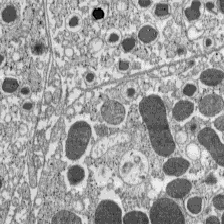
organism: C57BL Mouse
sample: Pancreatic islet